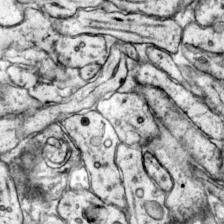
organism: Mouse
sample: Primary visual cortex